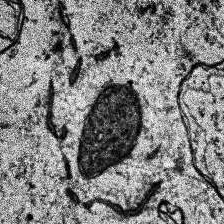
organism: Human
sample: Temporal Lobe